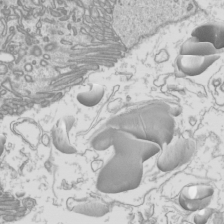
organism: Mouse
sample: Cilia; mouse epididymis